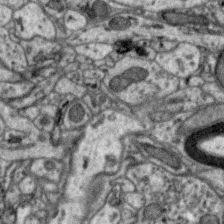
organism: Zebra finch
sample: Brain